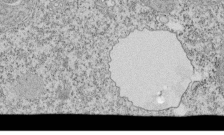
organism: Tetrahymena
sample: Cilia in tetrahymena